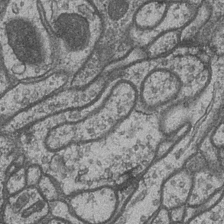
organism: Drosophila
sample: Optic medulla